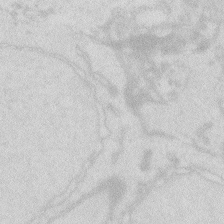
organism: Zebrafish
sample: Macrophage